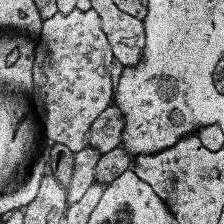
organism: Human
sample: Temporal Lobe